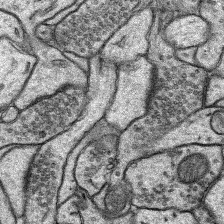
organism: Rat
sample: Hippocampus